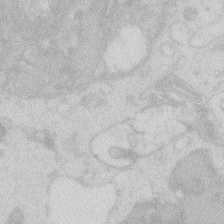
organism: Zebrafish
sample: Macrophage